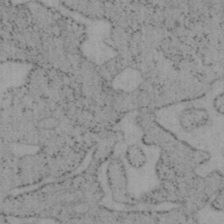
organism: Mouse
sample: OT-I killer T cells with ID8 ovarian cancer cells